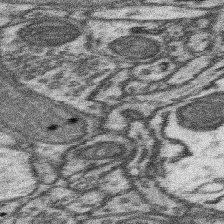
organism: Mouse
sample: Somatosensory cortex neuropil